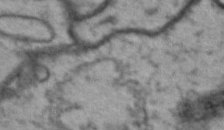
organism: Drosophila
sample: Brain